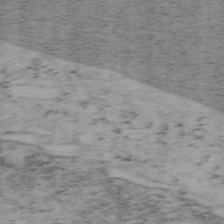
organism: Mouse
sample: OT-I killer T cells with ID8 ovarian cancer cells